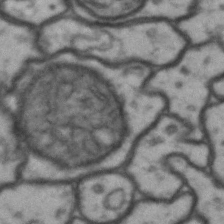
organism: Drosophila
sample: Brain